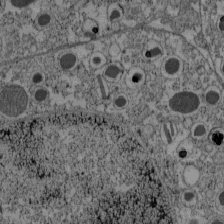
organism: C57BL Mouse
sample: Pancreatic islet